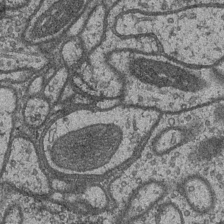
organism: Drosophila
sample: Optic medulla